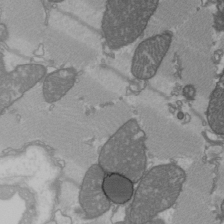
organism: C57BL Mouse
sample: Heart